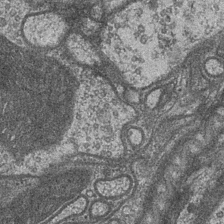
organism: Drosophila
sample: Optic medulla